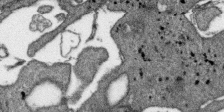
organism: Human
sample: Lung epithelial cells, uninfected (mock) control